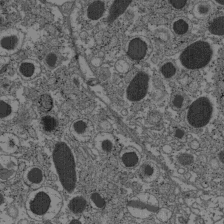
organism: C57BL Mouse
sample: Pancreatic islet